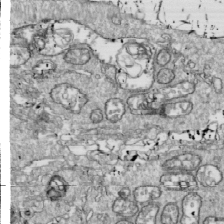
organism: Drosophila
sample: Cell division; meiosis; drosophila spermatocytes